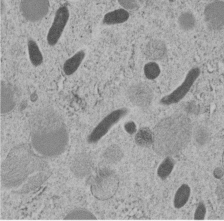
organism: C. elegans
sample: C. elegans embryo early stage